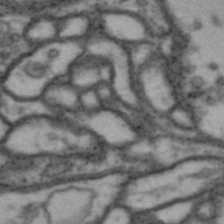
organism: Drosophila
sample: Brain